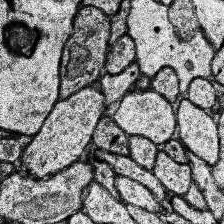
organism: Human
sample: Temporal Lobe